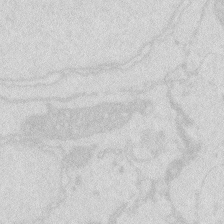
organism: Zebrafish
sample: Macrophage